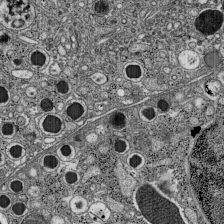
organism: C57BL Mouse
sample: Pancreatic islet